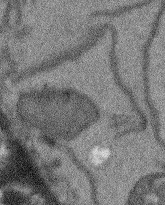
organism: Arabidopsis thaliana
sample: Root tip